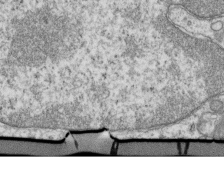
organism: Mouse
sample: Activated OT-1 CD8+ T cells